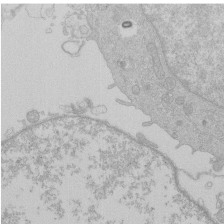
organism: Human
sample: Macrophage cells